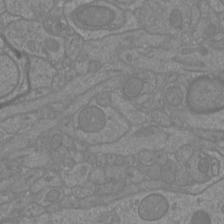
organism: Mouse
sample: Cortical neurons